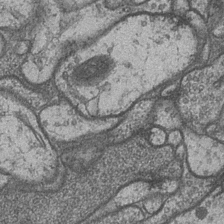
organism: Drosophila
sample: Optic medulla